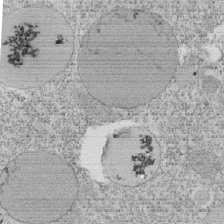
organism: Tetrahymena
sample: Cilia in tetrahymena